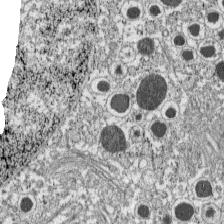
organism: C57BL Mouse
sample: Pancreatic islet